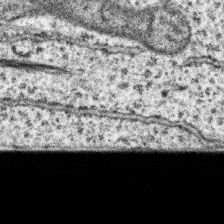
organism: Human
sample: HeLa cells